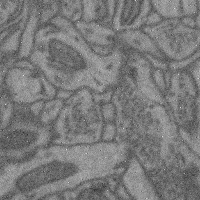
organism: Mouse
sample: Cerebral cortex